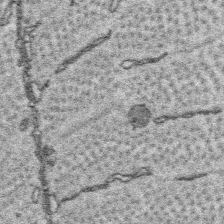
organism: Platynereis dumerilii